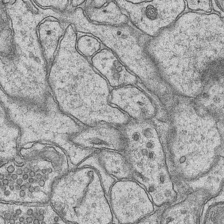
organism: Mouse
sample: CA1 Hippocampus